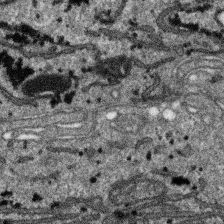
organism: Human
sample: Lung epithelial cells infected with SARS-CoV-2